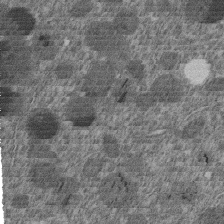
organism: C. elegans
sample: C. elegans embryo early stage